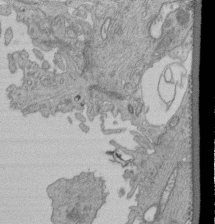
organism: Human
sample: Retinal organoid Rod and Cone cells